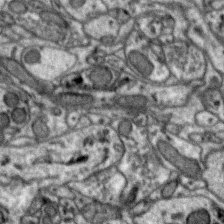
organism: Zebra finch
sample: Brain